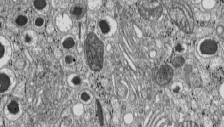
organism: C57BL Mouse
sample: Pancreatic islet